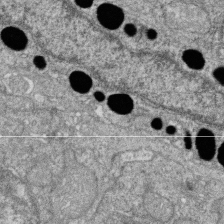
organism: Zebrafish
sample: Cilia; retinal pigment epithelium